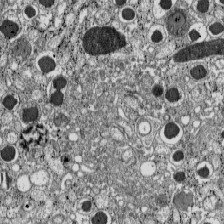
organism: C57BL Mouse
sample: Pancreatic islet